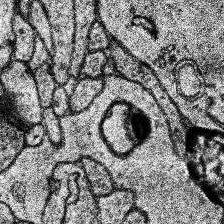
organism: Human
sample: Temporal Lobe